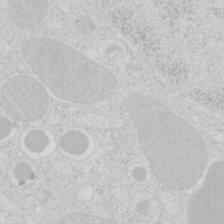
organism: Mouse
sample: Pancreas